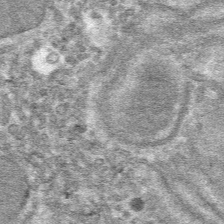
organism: Mouse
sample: Mouse hepatocytes